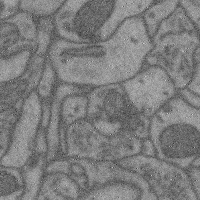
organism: Mouse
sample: Cerebral cortex